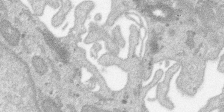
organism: Human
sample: Lung epithelial cells infected with SARS-CoV-2